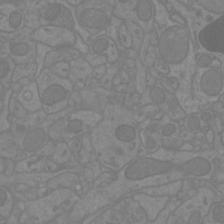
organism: Mouse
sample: Cortical neurons